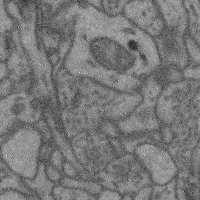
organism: Mouse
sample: Cerebral cortex